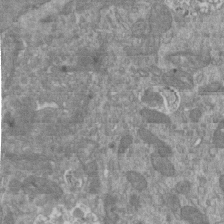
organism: Mouse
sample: ED-1 cell nuclei; centrioles